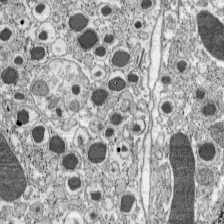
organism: C57BL Mouse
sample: Pancreatic islet